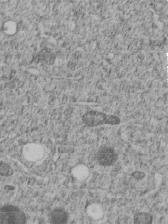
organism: C. elegans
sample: C. elegans embryo early stage